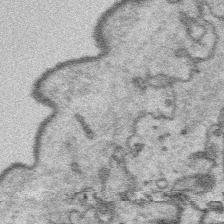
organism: Platynereis dumerilii